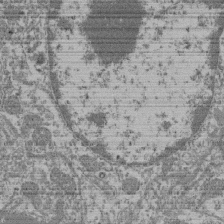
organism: Mouse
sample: Glomerulus